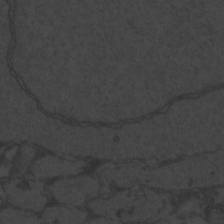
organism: Zebrafish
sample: Macrophage infected with Toxoplasma gondii